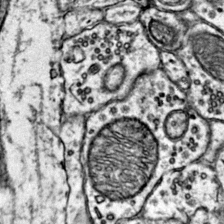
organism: Mouse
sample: Primary visual cortex